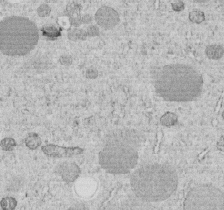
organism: C. elegans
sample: C. elegans embryo early stage